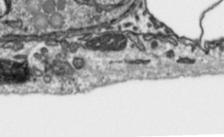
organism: Toxoplasma gondii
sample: Parasites in a vacuole inside a host cell